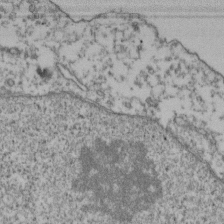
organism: Human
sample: Activated Jurkat CD4+ T cells